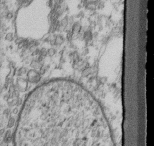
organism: Mouse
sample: Cilia; retinal pigment epithelium